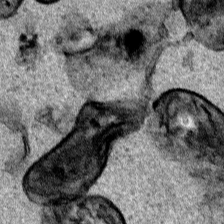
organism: Human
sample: Mitochondria in HCT116 cells